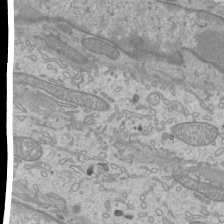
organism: Mouse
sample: Cilia; mouse epididymis